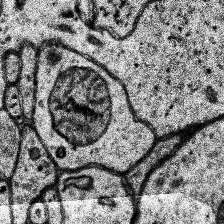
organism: Human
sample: Temporal Lobe